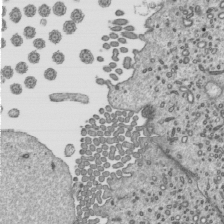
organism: Mouse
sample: Mouse epididymis efferent ductule cilia